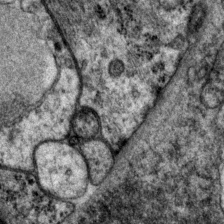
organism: P. pacificus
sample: Pharynx